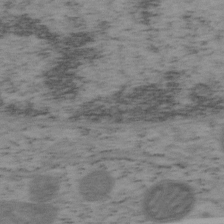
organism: Mouse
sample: OT-I killer T cells with ID8 ovarian cancer cells